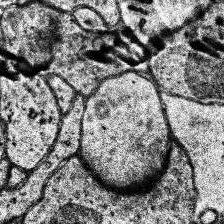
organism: Human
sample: Temporal Lobe